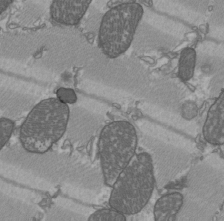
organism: C57BL Mouse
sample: Heart